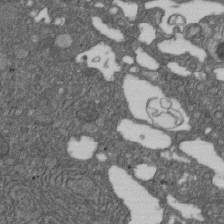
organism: Drosophila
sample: Nephrocyte